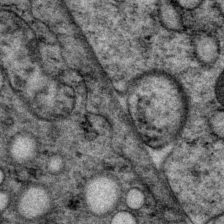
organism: P. pacificus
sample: Pharynx